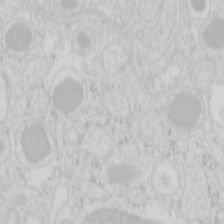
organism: Mouse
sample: Pancreas